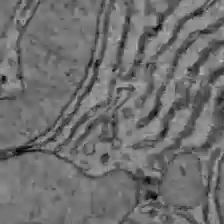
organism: C57BL Mouse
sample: Liver